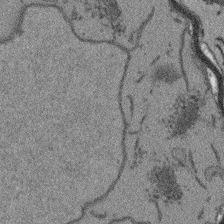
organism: Arabidopsis thaliana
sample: Root tip